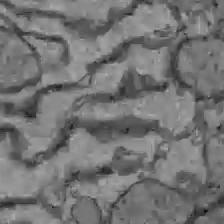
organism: C57BL Mouse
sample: Liver